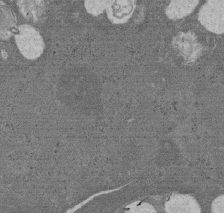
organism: Rat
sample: Salivary granule